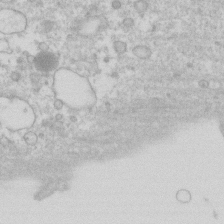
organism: Human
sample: Fibroblast cells